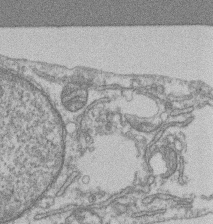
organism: Mouse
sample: T cell stromal cell synapse